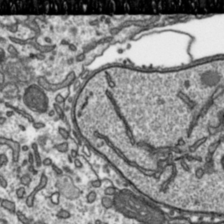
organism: Toxoplasma gondii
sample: Parasites in a vacuole inside a host cell